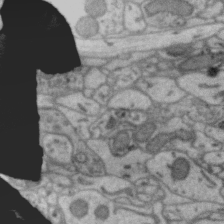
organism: Zebra finch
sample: Brain